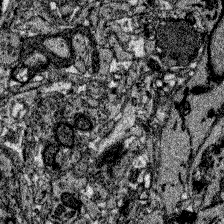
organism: Zebrafish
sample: Larval olfactory bulb